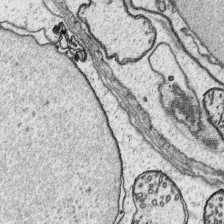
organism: Platynereis dumerilii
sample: Parapodia